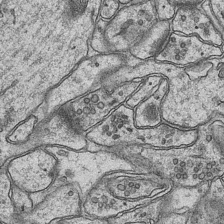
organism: Mouse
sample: CA1 Hippocampus